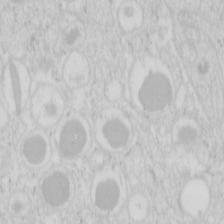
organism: Mouse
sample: Pancreas